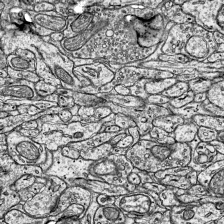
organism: Mouse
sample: Visual Cortex